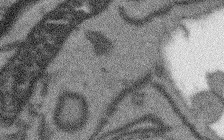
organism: Arabidopsis thaliana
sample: Root tip